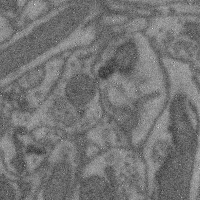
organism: Mouse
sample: Cerebral cortex